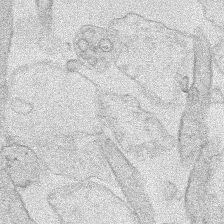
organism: Human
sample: Mitochondria in HCT116 cells